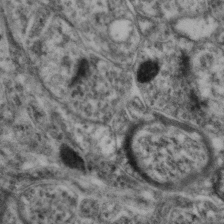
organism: Mouse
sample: Neocortex